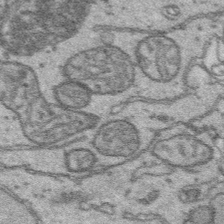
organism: Platynereis dumerilii